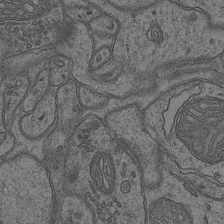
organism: Mouse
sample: CA1 Hippocampus